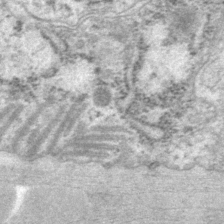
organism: P. pacificus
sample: Pharynx